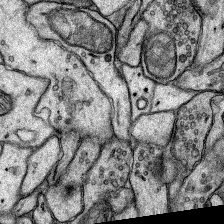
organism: Rat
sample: Hippocampus